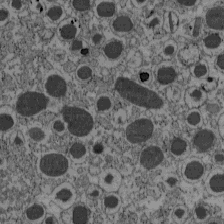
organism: C57BL Mouse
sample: Pancreatic islet